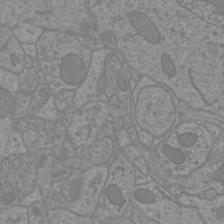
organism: Mouse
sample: Cortical neurons